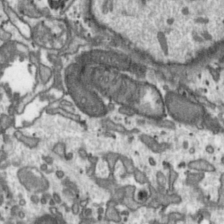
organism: Toxoplasma gondii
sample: Parasites in a vacuole inside a host cell